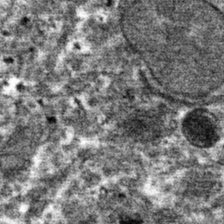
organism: Mouse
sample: Mouse hepatocytes